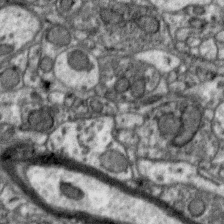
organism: Zebra finch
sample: Brain